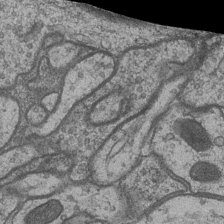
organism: Drosophila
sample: Optic medulla